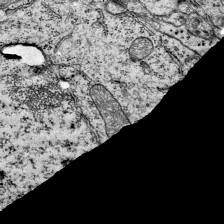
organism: Mouse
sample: Visual Cortex